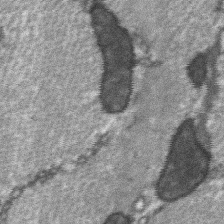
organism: C57BL Mouse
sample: Soleus